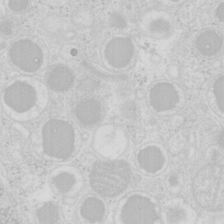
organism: Mouse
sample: Pancreas